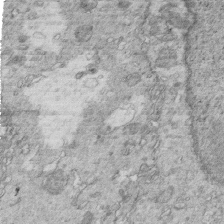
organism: Mouse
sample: Multiciliated cells